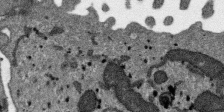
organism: Human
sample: Lung epithelial cells, uninfected (mock) control